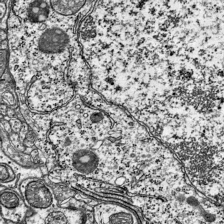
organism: Mouse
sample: Visual Cortex